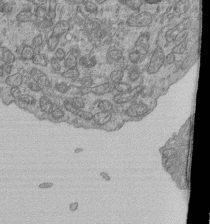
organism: Human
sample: Retinal organoid Rod and Cone cells